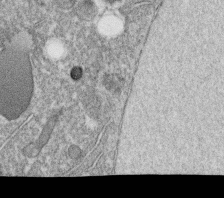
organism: C. elegans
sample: C. elegans oocyte; sperm cells